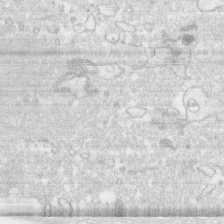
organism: Human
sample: CRL-1474